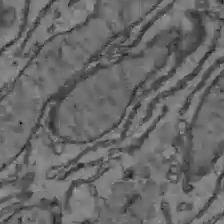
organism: C57BL Mouse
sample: Liver